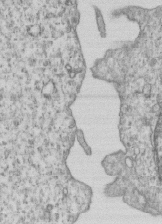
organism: Human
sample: MDA-MB-231 cells